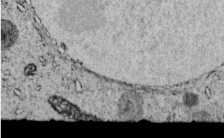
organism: C. elegans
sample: C. elegans embryo early stage